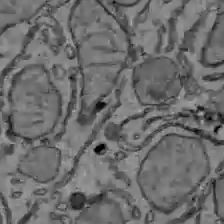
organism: C57BL Mouse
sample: Liver